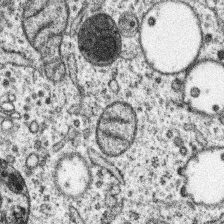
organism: Human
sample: HeLa cells